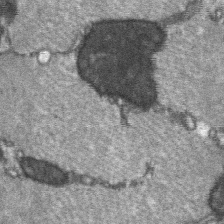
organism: C57BL Mouse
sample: Soleus